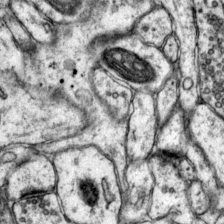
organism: Mouse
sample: Primary visual cortex